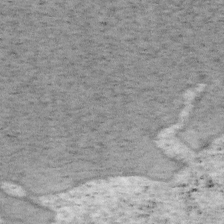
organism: Mouse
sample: OT-I killer T cells with ID8 ovarian cancer cells